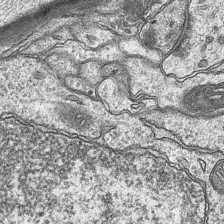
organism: Mouse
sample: CA1 Hippocampus